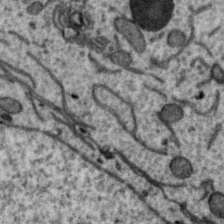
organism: Zebra finch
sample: Brain